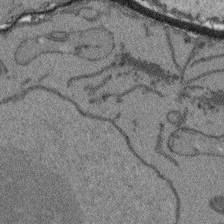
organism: Arabidopsis thaliana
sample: Root tip